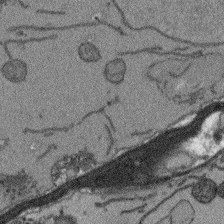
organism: Arabidopsis thaliana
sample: Root tip